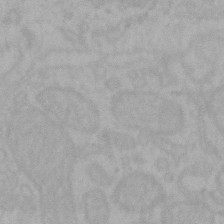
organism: Mouse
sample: Choroid plexus